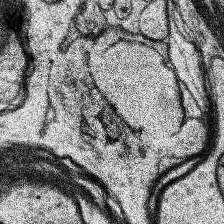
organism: Human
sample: Temporal Lobe